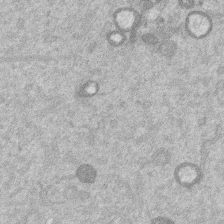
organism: Mouse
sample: Dividing mouse embryo 1 cell stage